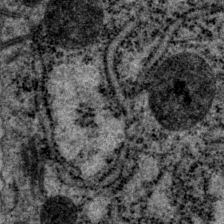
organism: P. pacificus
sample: Pharynx